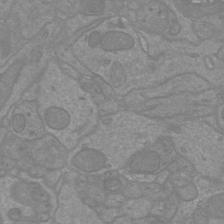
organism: Mouse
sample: Cortical neurons